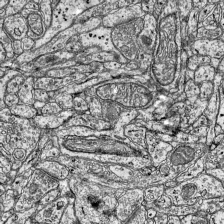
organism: Mouse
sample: Visual Cortex